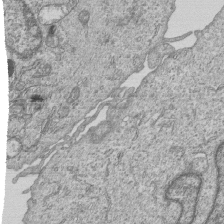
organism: Human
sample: MDA-MB-231 cells